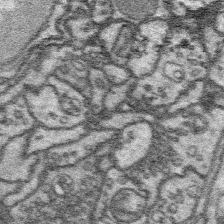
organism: Platynereis dumerilii